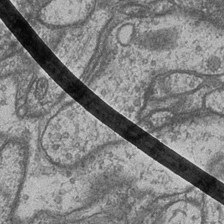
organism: Drosophila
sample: Optic medulla